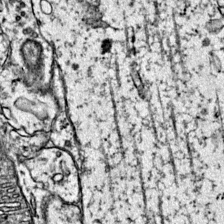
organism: Mouse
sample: Primary visual cortex